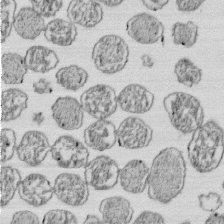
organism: E. coli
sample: Bacterial nucleoid